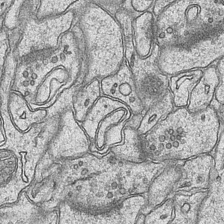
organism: Mouse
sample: CA1 Hippocampus